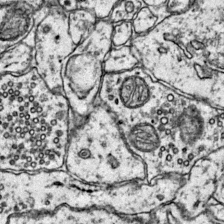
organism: Mouse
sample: Primary visual cortex